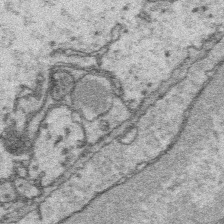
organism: Platynereis dumerilii